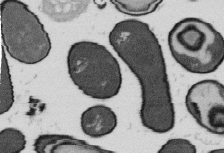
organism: B. subtilis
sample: Bacterial spore